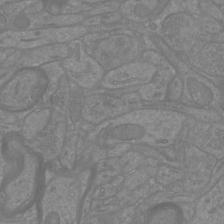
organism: Mouse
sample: Cortical neurons